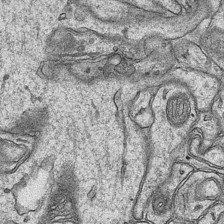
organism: Mouse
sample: CA1 Hippocampus